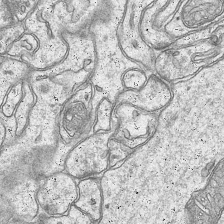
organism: Mouse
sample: CA1 Hippocampus